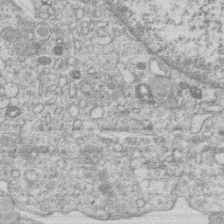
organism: Human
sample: Macrophage cells